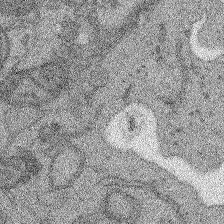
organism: Human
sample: HeLa cells